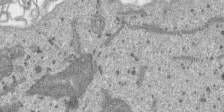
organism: Human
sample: Lung epithelial cells infected with SARS-CoV-2